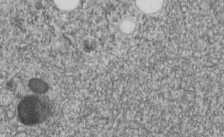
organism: C. elegans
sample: C. elegans embryo early stage